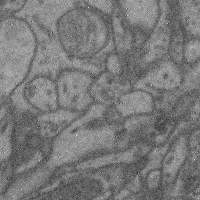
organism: Mouse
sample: Cerebral cortex